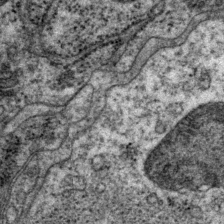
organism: P. pacificus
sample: Pharynx